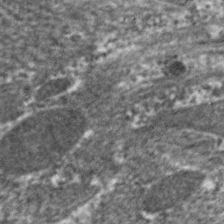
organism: C. elegans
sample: Pharynx